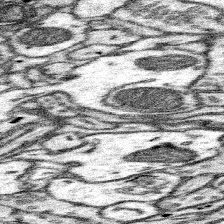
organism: Mouse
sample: Somatosensory cortex neuropil